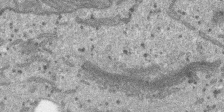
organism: Human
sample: Lung epithelial cells infected with SARS-CoV-2